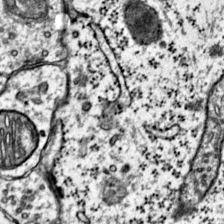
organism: Mouse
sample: Primary visual cortex